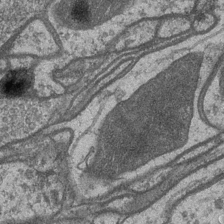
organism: Drosophila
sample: Optic medulla